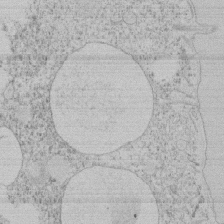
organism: Tetrahymena